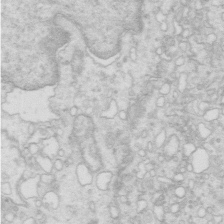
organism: Mouse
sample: Multiciliated cells